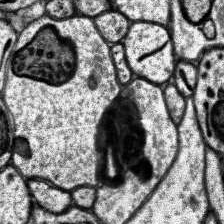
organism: Human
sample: Temporal Lobe